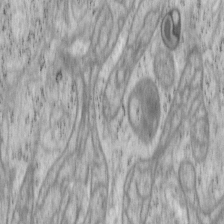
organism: Human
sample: HeLa cells